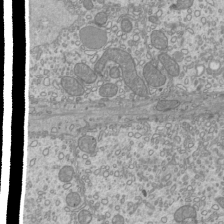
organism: Mouse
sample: Cilia; mouse epididymis